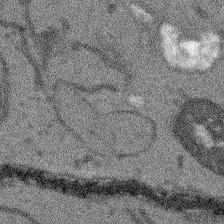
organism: Arabidopsis thaliana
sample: Root tip